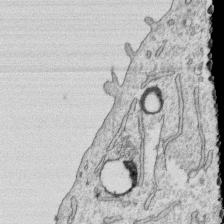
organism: Human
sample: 1205lu cells